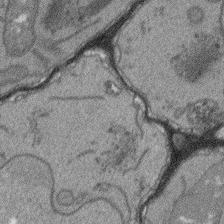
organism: Arabidopsis thaliana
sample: Root tip